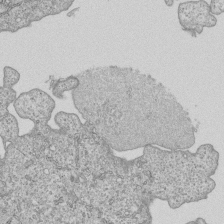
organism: Human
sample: MDA-MB-231 cells